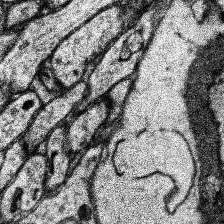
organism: Human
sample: Temporal Lobe